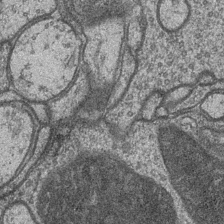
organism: Drosophila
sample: Optic medulla